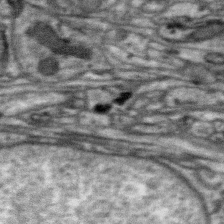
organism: Zebra finch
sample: Brain